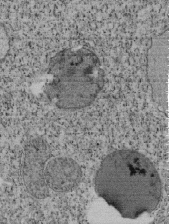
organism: Tetrahymena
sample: Cilia in tetrahymena